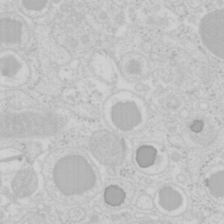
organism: Mouse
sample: Pancreas